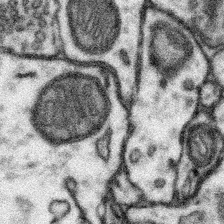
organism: Mouse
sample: Somatosensory cortex neuropil